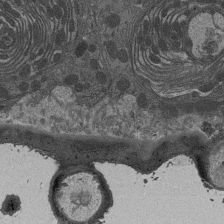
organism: Drosophila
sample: Antenna